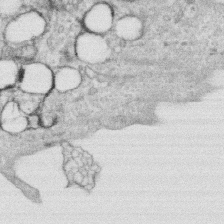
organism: Human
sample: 1205lu cells